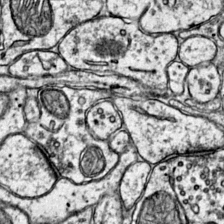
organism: Mouse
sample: Primary visual cortex